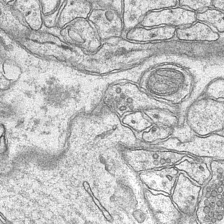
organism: Mouse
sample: CA1 Hippocampus